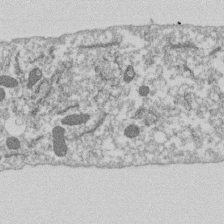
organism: Dictyostelium discoideum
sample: Dictyostelium multivesicular bodies